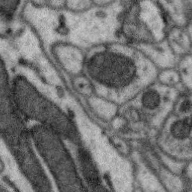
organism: Zebra finch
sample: Brain